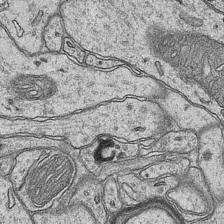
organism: Mouse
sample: CA1 Hippocampus